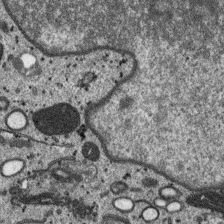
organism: Human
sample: Lung epithelial cells infected with SARS-CoV-2